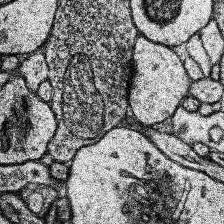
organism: Human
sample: Temporal Lobe